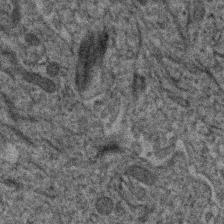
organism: Human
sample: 1205lu cells